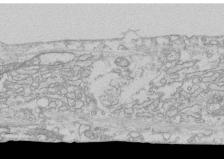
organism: Human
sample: CRL-1474